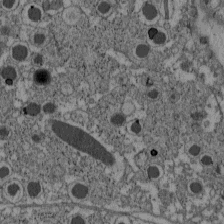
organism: C57BL Mouse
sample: Pancreatic islet